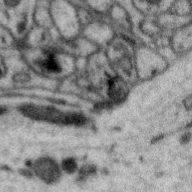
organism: Zebra finch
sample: Brain